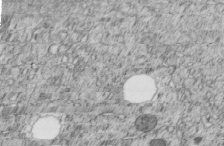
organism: C. elegans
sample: C. elegans embryo early stage